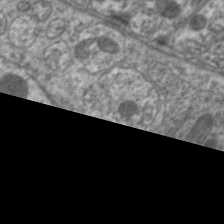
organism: C. elegans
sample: Pharynx